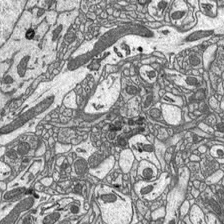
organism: C57BL Mouse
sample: Optic nerve head